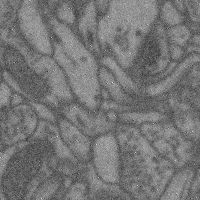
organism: Mouse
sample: Cerebral cortex